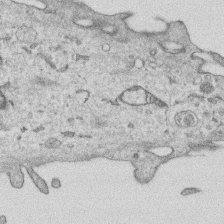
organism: Human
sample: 1205lu cells